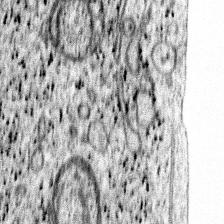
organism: Human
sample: HeLa cells